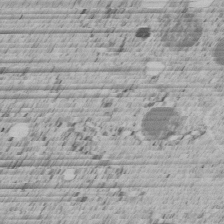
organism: C. elegans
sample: C. elegans embryo early stage